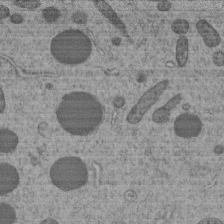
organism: C. elegans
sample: C. elegans embryo early stage